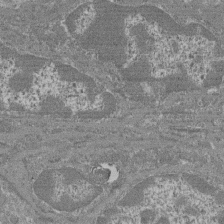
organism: Mouse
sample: Glomerulus